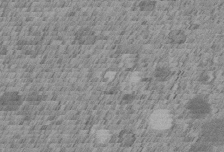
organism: C. elegans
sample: C. elegans embryo early stage